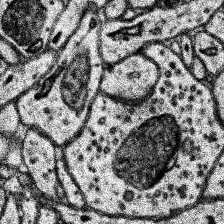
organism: Human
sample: Temporal Lobe